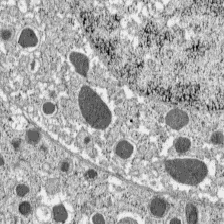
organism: C57BL Mouse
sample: Pancreatic islet